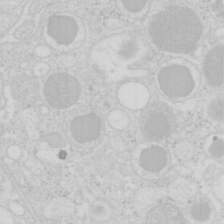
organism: Mouse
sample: Pancreas